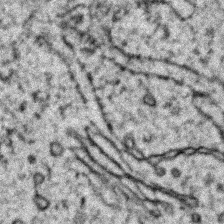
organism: Zebrafish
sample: Zebrafish embryo